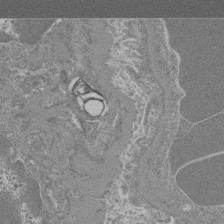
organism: Mouse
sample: Glomerulus